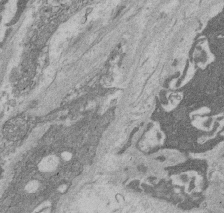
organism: Rat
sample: Salivary granule